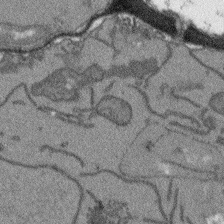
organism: Arabidopsis thaliana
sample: Root tip